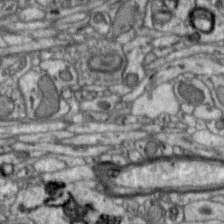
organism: Zebra finch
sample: Brain